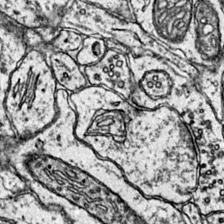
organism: Mouse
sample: Primary visual cortex